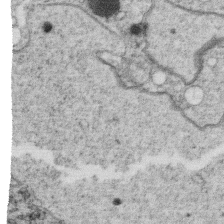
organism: C. elegans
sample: C. elegans oocyte; sperm cells